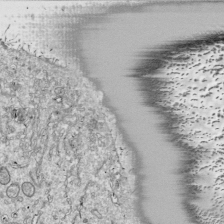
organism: Drosophila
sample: Cell division; meiosis; drosophila spermatocytes